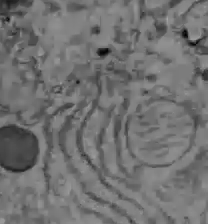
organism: C57BL Mouse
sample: Liver